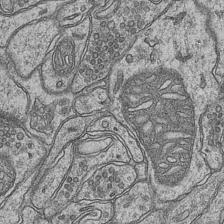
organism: Mouse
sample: CA1 Hippocampus